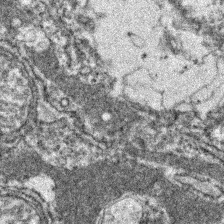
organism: Zebrafish